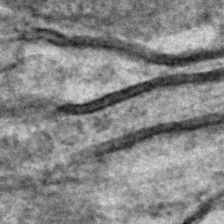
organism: C. elegans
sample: C. elegans embryo